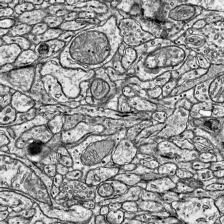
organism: Mouse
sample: Visual Cortex